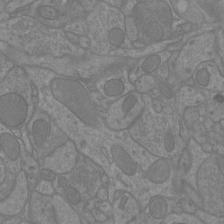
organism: Mouse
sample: Cortical neurons